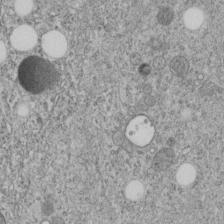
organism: C. elegans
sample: C. elegans embryo early stage